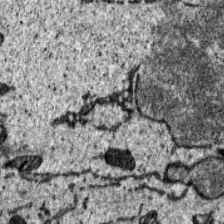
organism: Human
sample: HeLa cells